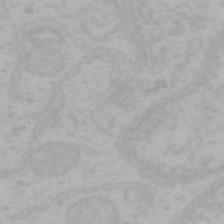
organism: Mouse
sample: Choroid plexus